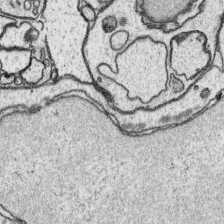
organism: Platynereis dumerilii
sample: Parapodia